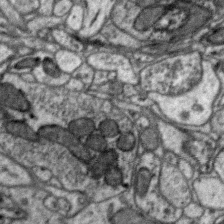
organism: Zebra finch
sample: Brain